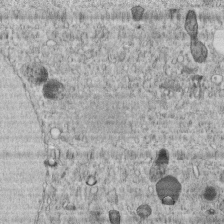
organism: C. elegans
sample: C. elegans embryo early stage